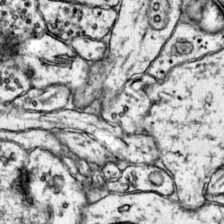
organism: Mouse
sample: Primary visual cortex